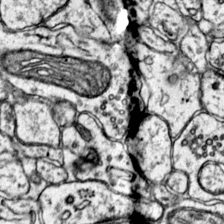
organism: Mouse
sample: Primary visual cortex